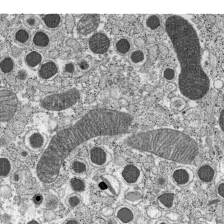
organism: C57BL Mouse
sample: Pancreatic islet